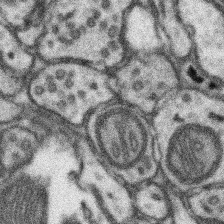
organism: Mouse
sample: Somatosensory cortex neuropil